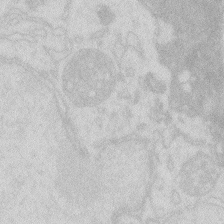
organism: Zebrafish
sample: Macrophage